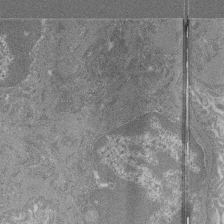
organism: Mouse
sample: Glomerulus